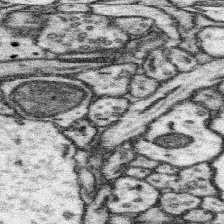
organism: Mouse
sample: Somatosensory cortex neuropil